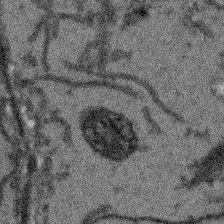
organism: Arabidopsis thaliana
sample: Root tip